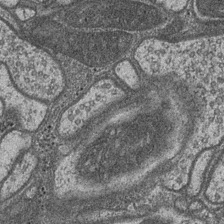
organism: Drosophila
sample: Optic medulla